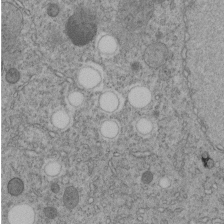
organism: C. elegans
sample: C. elegans embryo early stage